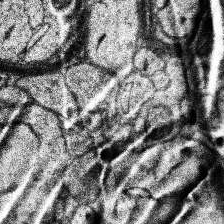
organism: Human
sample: Temporal Lobe